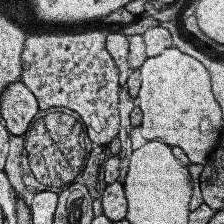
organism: Human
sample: Temporal Lobe